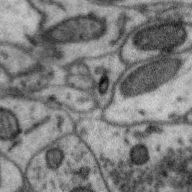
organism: Zebra finch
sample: Brain